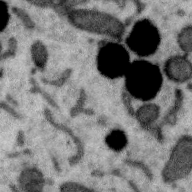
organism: Zebra finch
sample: Brain